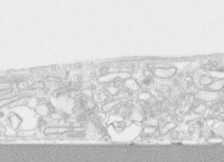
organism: Human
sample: CRL-1474